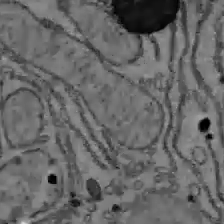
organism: C57BL Mouse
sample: Liver